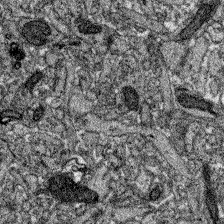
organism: Zebrafish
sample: Larval olfactory bulb